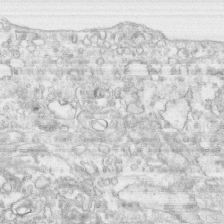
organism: Human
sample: CRL-1474